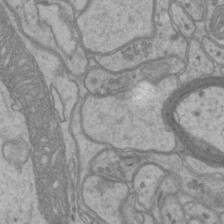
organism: Mouse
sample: CA1 Hippocampus